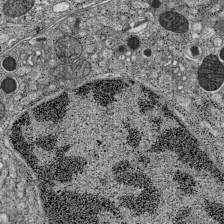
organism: C57BL Mouse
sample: Pancreatic islet